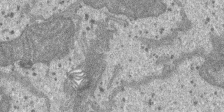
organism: Human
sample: Lung epithelial cells infected with SARS-CoV-2